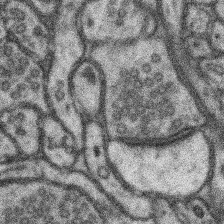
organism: Mouse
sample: Somatosensory cortex neuropil